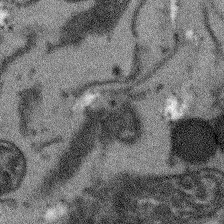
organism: Arabidopsis thaliana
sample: Root tip